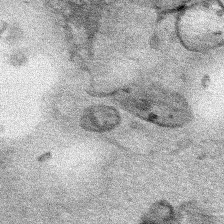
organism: Human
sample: Mitochondria in HCT116 cells